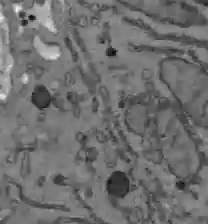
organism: C57BL Mouse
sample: Liver